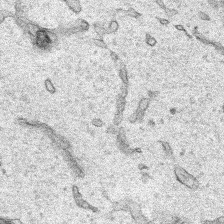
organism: Human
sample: Mitochondria in HCT116 cells